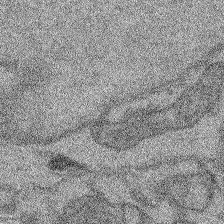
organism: Human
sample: HeLa cells